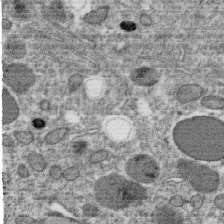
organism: C. elegans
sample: C. elegans oocyte; sperm cells